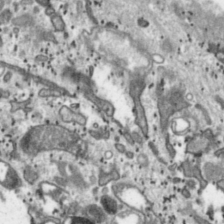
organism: Toxoplasma gondii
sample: Parasites in a vacuole inside a host cell